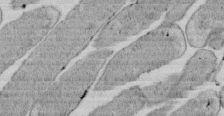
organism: E. coli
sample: Bacterial nucleoid